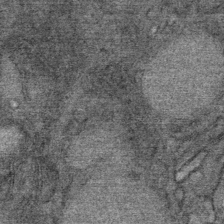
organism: Mouse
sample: Mouse Salivary gland